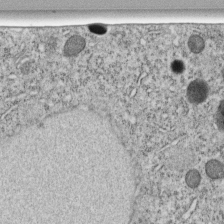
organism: C. elegans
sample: C. elegans embryo early stage